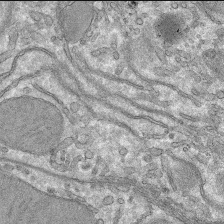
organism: Mouse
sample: Mouse hepatocytes